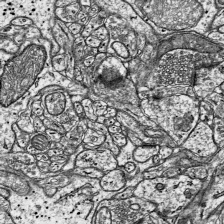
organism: Mouse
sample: Visual Cortex